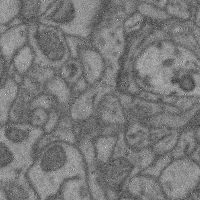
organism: Mouse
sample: Cerebral cortex